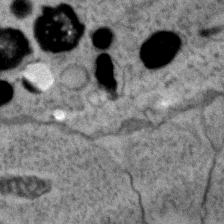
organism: Zebrafish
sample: Zebrafish embryo